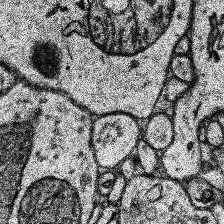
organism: Human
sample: Temporal Lobe